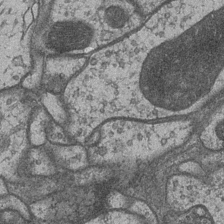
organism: Drosophila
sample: Optic medulla